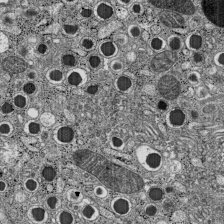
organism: C57BL Mouse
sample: Pancreatic islet